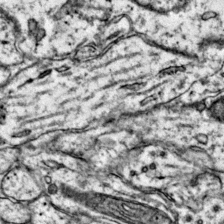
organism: Mouse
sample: Primary visual cortex